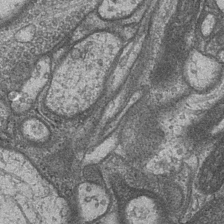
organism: Drosophila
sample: Optic medulla